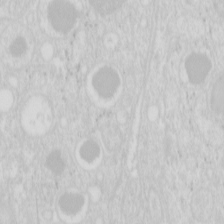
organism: Mouse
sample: Pancreas